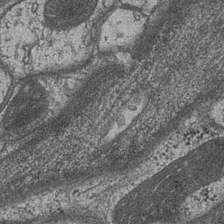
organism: Drosophila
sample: Optic medulla